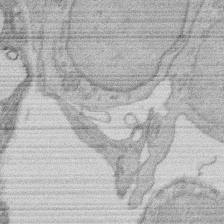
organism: Rat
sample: Salivary granule